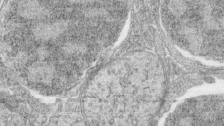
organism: Zebrafish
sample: synaptic ribbons in rod cells and cone cells